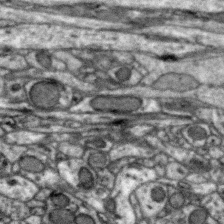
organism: Zebra finch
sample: Brain